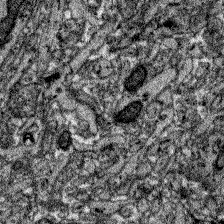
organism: Zebrafish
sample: Larval olfactory bulb